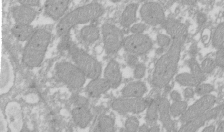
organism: Xenopus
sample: Cilia; centrioles in frog embryo cells